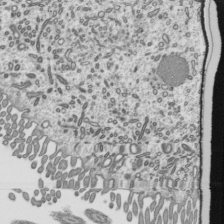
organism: Mouse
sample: Mouse epididymis efferent ductule cilia